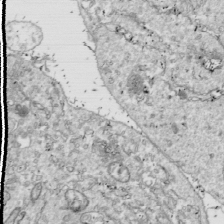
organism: Drosophila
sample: Cell division; meiosis; drosophila spermatocytes